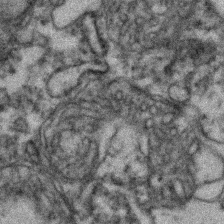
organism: Zebrafish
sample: Zebrafish embryo